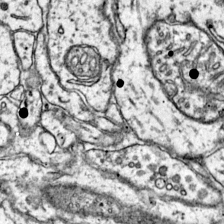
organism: Mouse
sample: Primary visual cortex